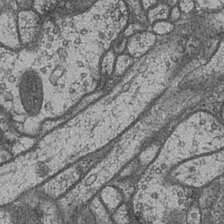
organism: Drosophila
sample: Optic medulla